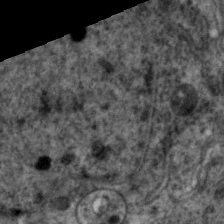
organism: C. elegans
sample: Pharynx